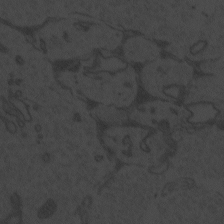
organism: Zebrafish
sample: Macrophage infected with Toxoplasma gondii